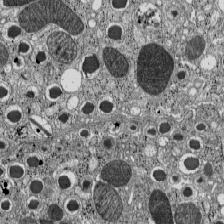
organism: C57BL Mouse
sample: Pancreatic islet